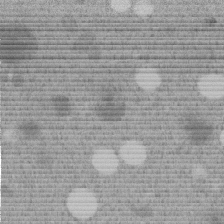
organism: C. elegans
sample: C. elegans embryo early stage